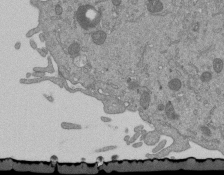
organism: Mouse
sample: ED-1 cell nuclei; centrioles